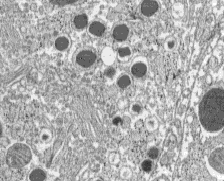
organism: C57BL Mouse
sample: Pancreatic islet